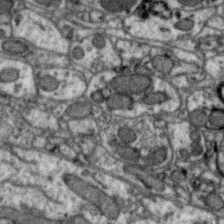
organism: Zebra finch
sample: Brain